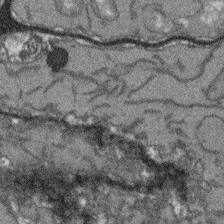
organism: Arabidopsis thaliana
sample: Root tip